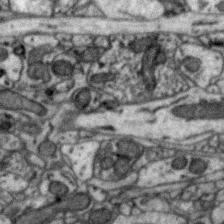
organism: Zebra finch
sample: Brain